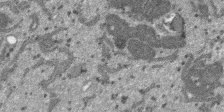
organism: Human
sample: Lung epithelial cells infected with SARS-CoV-2